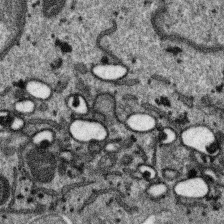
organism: Human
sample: Lung epithelial cells infected with SARS-CoV-2